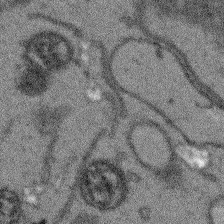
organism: Arabidopsis thaliana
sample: Root tip